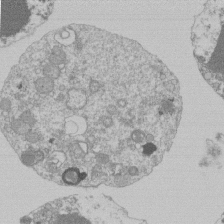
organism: Mouse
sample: Activated Pmel transgenic CD8+ T Cells